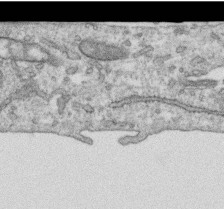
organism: Human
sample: Centriole in RPE cells